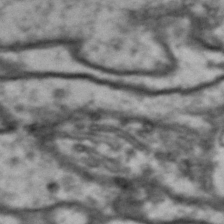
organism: Drosophila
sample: Brain